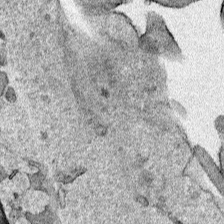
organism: Human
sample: Mitochondria in HCT116 cells